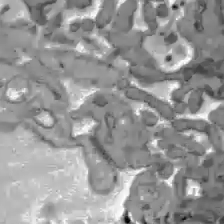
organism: C57BL Mouse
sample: Liver